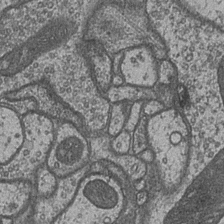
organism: Drosophila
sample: Optic medulla